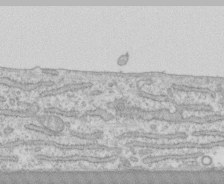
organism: Human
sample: CRL-1474